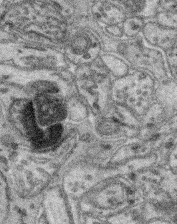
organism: Mouse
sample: Retina